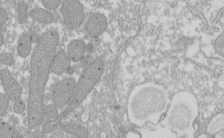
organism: Xenopus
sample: Cilia; centrioles in frog embryo cells